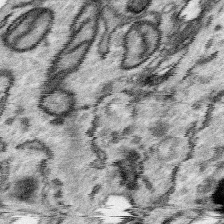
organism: Human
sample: HeLa cells